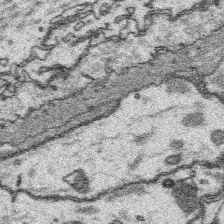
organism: Platynereis dumerilii